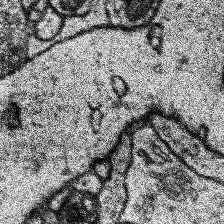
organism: Human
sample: Temporal Lobe